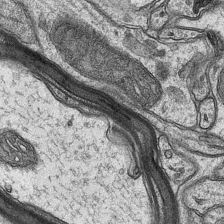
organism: Mouse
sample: CA1 Hippocampus